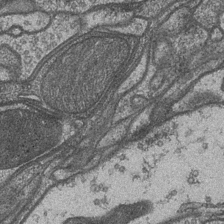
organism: Drosophila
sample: Optic medulla